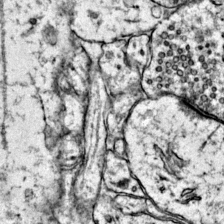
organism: Mouse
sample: Primary visual cortex